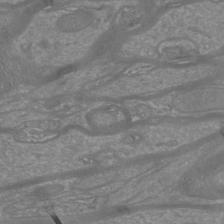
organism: Mouse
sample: Cortical neurons